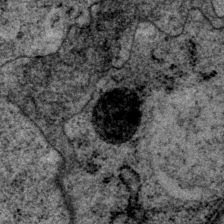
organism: P. pacificus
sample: Pharynx